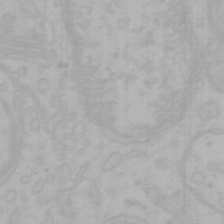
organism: Mouse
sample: Choroid plexus